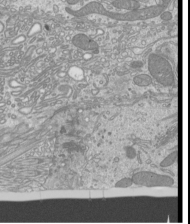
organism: Mouse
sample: Cilia; mouse epididymis